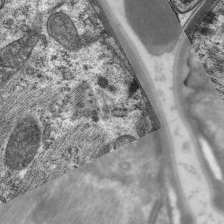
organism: C. elegans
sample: Pharynx